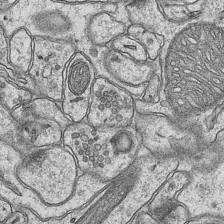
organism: Mouse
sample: CA1 Hippocampus